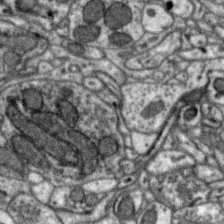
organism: Zebra finch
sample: Brain